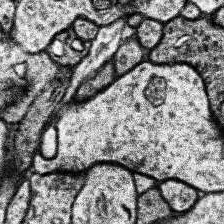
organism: Human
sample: Temporal Lobe